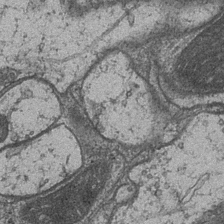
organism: Drosophila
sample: Optic medulla